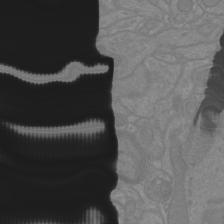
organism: Mouse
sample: Cortical neurons